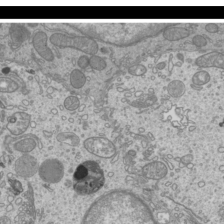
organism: Mouse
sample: Cilia; mouse epididymis